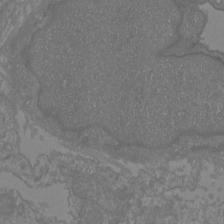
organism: Mouse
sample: Cortical neurons